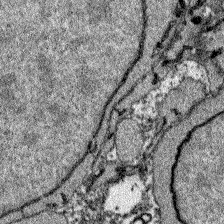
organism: Zebrafish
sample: Larval olfactory bulb